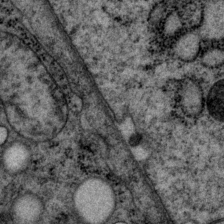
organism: P. pacificus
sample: Pharynx